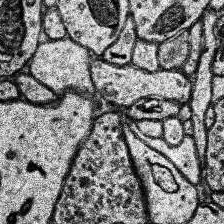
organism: Human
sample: Temporal Lobe